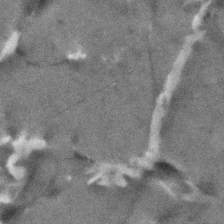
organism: Human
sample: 1205lu cells